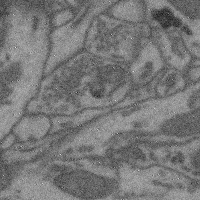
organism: Mouse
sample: Cerebral cortex